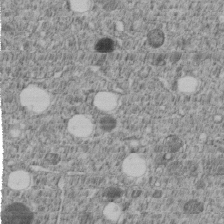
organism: C. elegans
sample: C. elegans embryo early stage